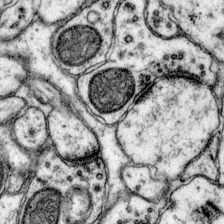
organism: Mouse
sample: Primary visual cortex